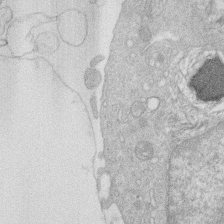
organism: Human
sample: Macrophage cells